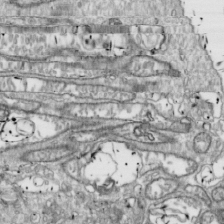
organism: Drosophila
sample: Cell division; meiosis; drosophila spermatocytes